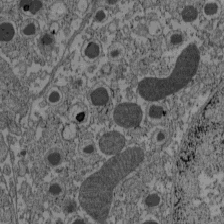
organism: C57BL Mouse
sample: Pancreatic islet